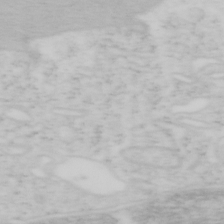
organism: Mouse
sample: OT-I killer T cells with ID8 ovarian cancer cells